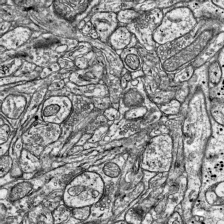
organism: Mouse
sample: Visual Cortex